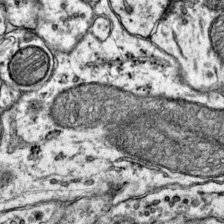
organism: Mouse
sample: Primary visual cortex